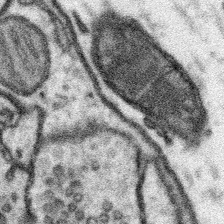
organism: Mouse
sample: Somatosensory cortex neuropil